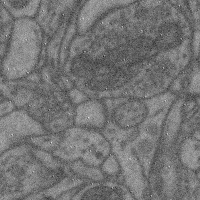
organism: Mouse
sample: Cerebral cortex